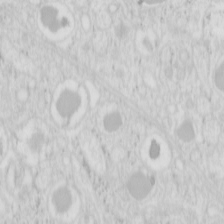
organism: Mouse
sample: Pancreas